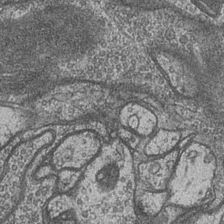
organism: Drosophila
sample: Optic medulla